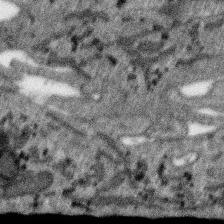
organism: Human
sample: Lung epithelial cells infected with SARS-CoV-2